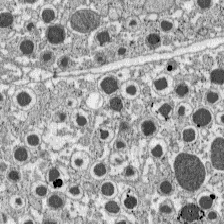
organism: C57BL Mouse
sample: Pancreatic islet